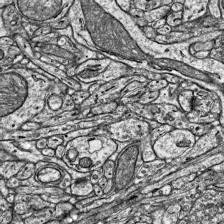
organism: Mouse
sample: Visual Cortex